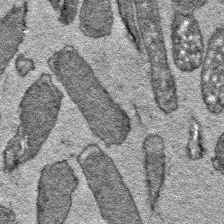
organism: E. coli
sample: E. Coli Bacteria